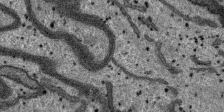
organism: Human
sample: Lung epithelial cells, uninfected (mock) control